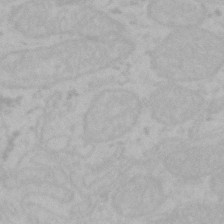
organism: Mouse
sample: Choroid plexus